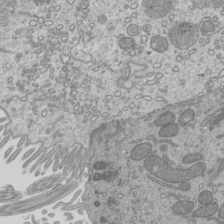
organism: Mouse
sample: Cilia; mouse epididymis